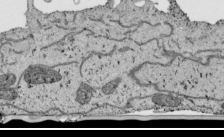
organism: Human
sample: Mitochondria in HCT116 cells